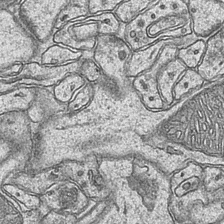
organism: Mouse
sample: CA1 Hippocampus